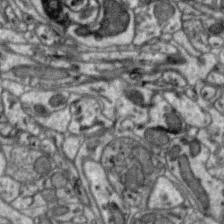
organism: Zebra finch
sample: Brain